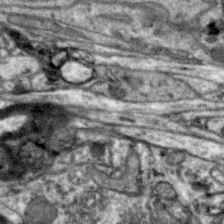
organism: Zebra finch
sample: Brain